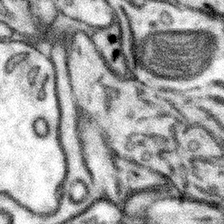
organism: Mouse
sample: Somatosensory cortex neuropil